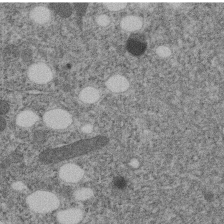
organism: C. elegans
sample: C. elegans embryo early stage